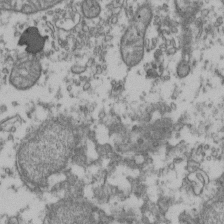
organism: Human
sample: Activated Jurkat CD4+ T cells